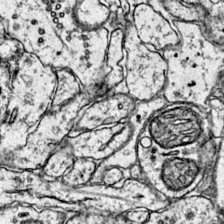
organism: Mouse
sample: Primary visual cortex